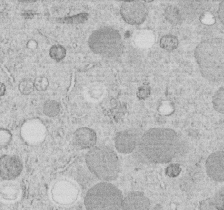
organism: C. elegans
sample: C. elegans embryo early stage